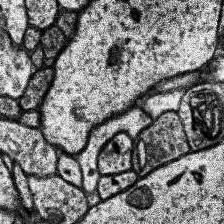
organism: Human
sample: Temporal Lobe